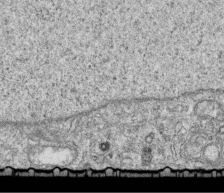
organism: Human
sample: HeLa cell HIV synapse